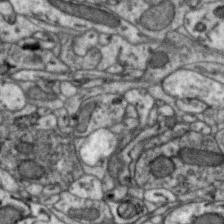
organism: Zebra finch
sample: Brain